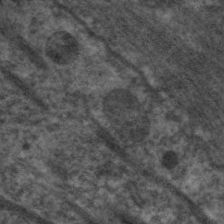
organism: C. elegans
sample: Pharynx